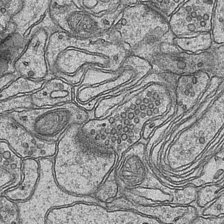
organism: Mouse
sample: CA1 Hippocampus